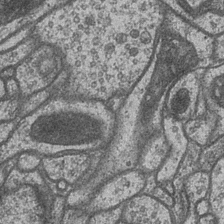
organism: Drosophila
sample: Optic medulla